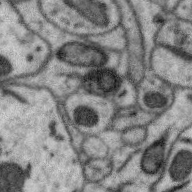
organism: Zebra finch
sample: Brain